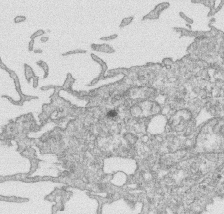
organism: Human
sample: HeLa cell HIV synapse